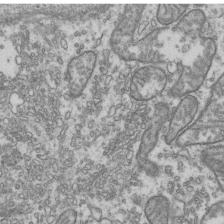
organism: Human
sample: Activated Jurkat CD4+ T cells